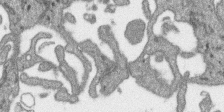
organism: Human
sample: Lung epithelial cells infected with SARS-CoV-2